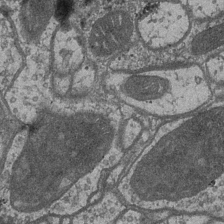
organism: Drosophila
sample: Optic medulla